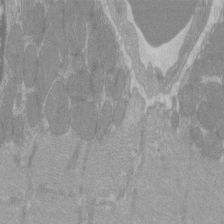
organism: C57BL Mouse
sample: Tibialis anterior muscle cell